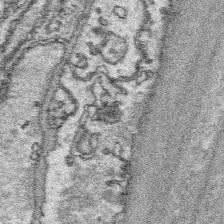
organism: Platynereis dumerilii